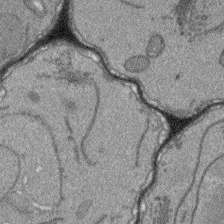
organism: Arabidopsis thaliana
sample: Root tip